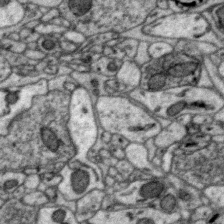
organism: Zebra finch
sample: Brain